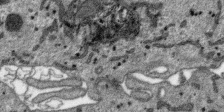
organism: Human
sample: Lung epithelial cells, uninfected (mock) control